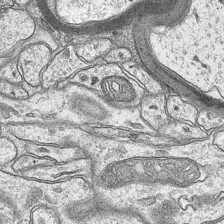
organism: Mouse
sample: CA1 Hippocampus